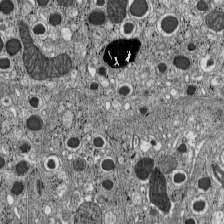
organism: C57BL Mouse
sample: Pancreatic islet